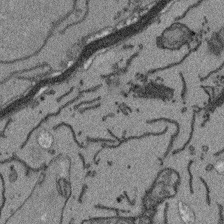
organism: Arabidopsis thaliana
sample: Root tip